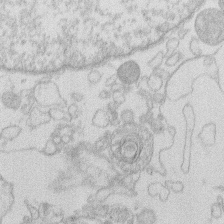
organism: Human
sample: Macrophage cells